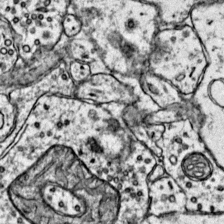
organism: Mouse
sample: Primary visual cortex